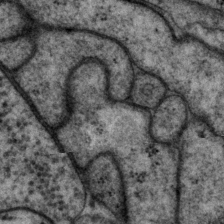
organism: P. pacificus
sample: Pharynx